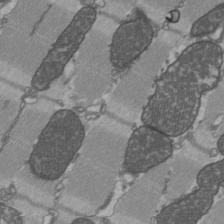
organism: C57BL Mouse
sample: Heart